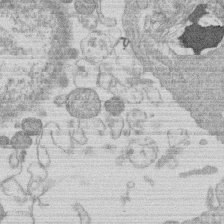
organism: Human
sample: Macrophage cells